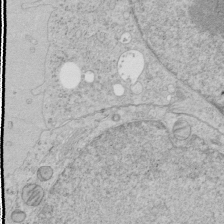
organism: Human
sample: Mitochondria in HCT116 cells